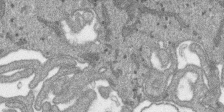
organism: Human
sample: Lung epithelial cells infected with SARS-CoV-2